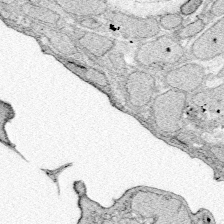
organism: Zebrafish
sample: Whole-Brain